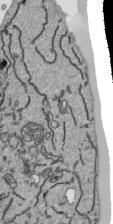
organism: Human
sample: Mitochondria in HCT116 cells